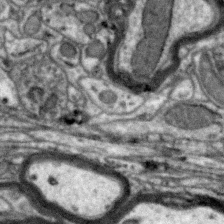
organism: Zebra finch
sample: Brain